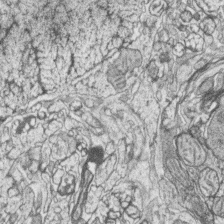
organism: Zebrafish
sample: synaptic ribbons in rod cells and cone cells